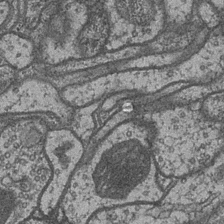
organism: Drosophila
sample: Optic medulla